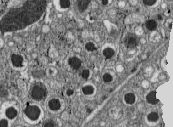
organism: C57BL Mouse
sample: Pancreatic islet